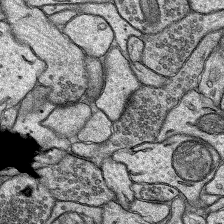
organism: Rat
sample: Hippocampus